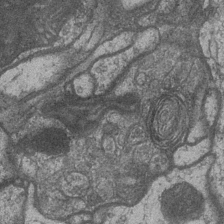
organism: Drosophila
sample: Optic medulla